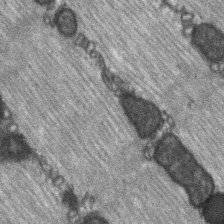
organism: C57BL Mouse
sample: Soleus